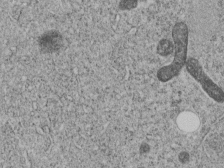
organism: C. elegans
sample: C. elegans embryo early stage